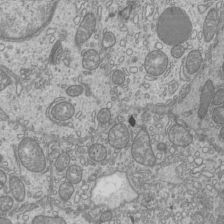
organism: Mouse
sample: Cilia; mouse epididymis